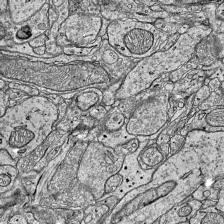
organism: Mouse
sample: Visual Cortex